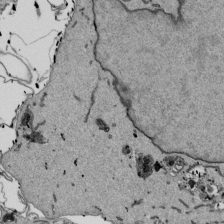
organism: Mouse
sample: ED-1 cell nuclei; centrioles